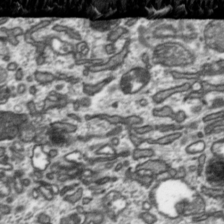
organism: Toxoplasma gondii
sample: Parasites in a vacuole inside a host cell